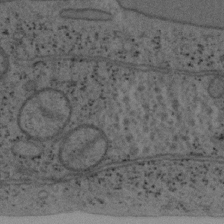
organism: Human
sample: HeLa cells